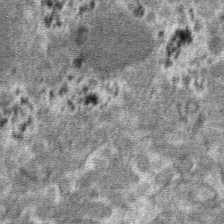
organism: Mouse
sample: Mouse hepatocytes